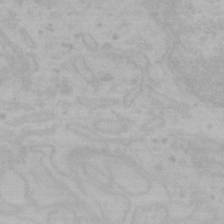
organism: Mouse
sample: Choroid plexus